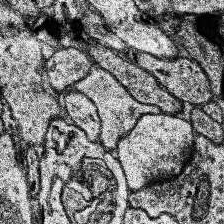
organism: Human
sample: Temporal Lobe